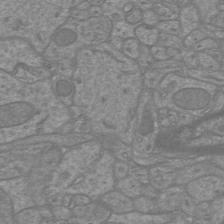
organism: Mouse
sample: Cortical neurons